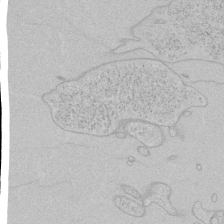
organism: Human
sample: Mitochondria in HCT116 cells